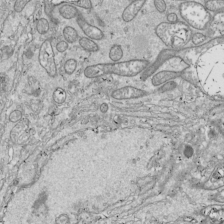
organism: Drosophila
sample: Cell division; meiosis; drosophila spermatocytes